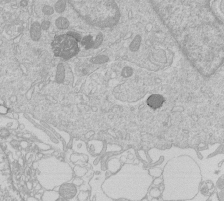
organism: Human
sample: Macrophage cells